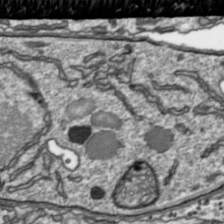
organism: Toxoplasma gondii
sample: Parasites in a vacuole inside a host cell